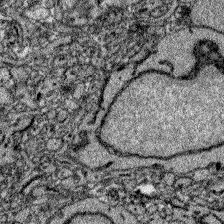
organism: Zebrafish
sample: Larval olfactory bulb